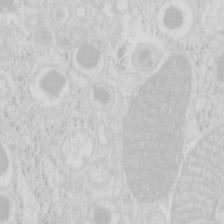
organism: Mouse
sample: Pancreas